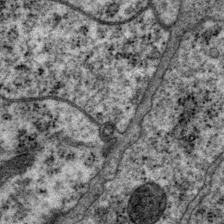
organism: P. pacificus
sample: Pharynx